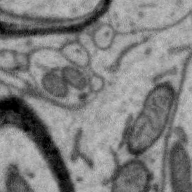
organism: Zebra finch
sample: Brain